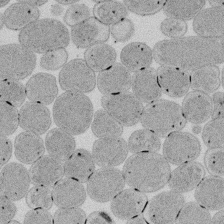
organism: E. coli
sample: Bacterial nucleoid